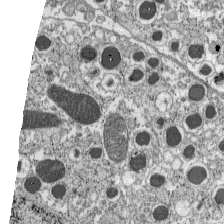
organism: C57BL Mouse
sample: Pancreatic islet